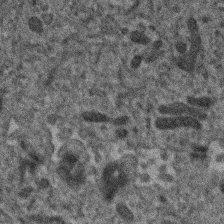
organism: Human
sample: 1205lu cells